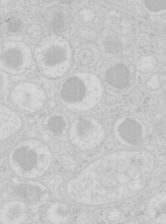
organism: Mouse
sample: Pancreas